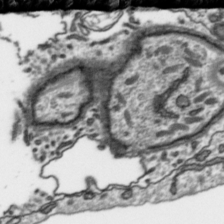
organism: Toxoplasma gondii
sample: Parasites in a vacuole inside a host cell